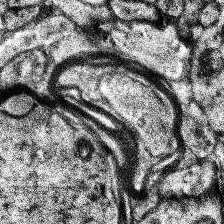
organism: Human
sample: Temporal Lobe